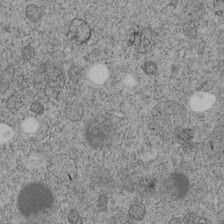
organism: C. elegans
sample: C. elegans embryo early stage